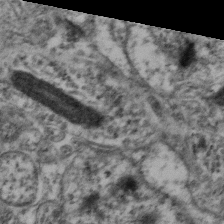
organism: Mouse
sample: Neocortex